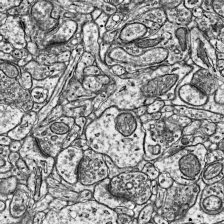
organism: Mouse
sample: Visual Cortex